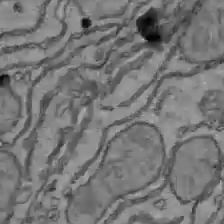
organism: C57BL Mouse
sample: Liver